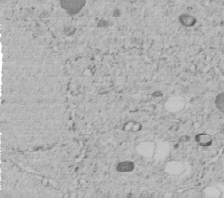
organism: C. elegans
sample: C. elegans embryo early stage